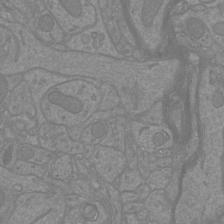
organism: Mouse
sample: Cortical neurons